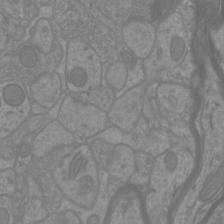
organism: Mouse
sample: Cortical neurons